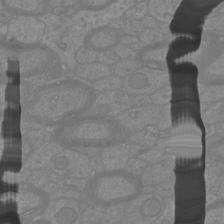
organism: Mouse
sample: Cortical neurons